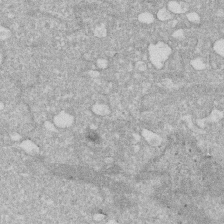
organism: Human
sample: HIV infected U937 cells